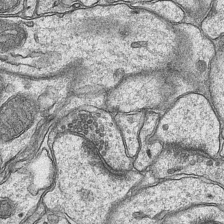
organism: Mouse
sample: CA1 Hippocampus